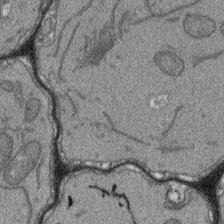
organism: Arabidopsis thaliana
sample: Root tip